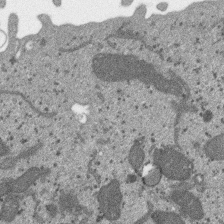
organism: Human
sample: Lung epithelial cells infected with SARS-CoV-2